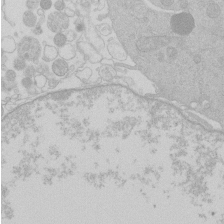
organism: Human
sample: Macrophage cells